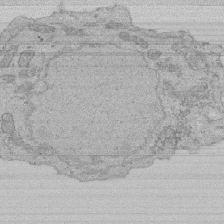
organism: Human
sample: Activated Jurkat CD4+ T cells